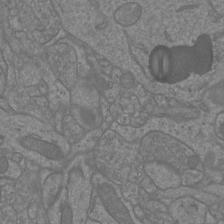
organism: Mouse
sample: Cortical neurons